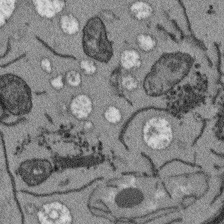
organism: Arabidopsis thaliana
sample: Root tip